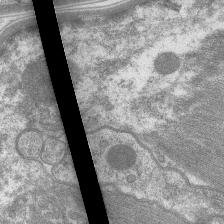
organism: C. elegans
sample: Pharynx